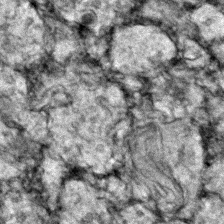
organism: Zebrafish